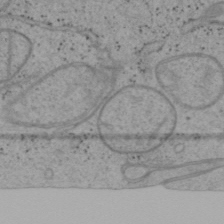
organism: Human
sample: HeLa cells